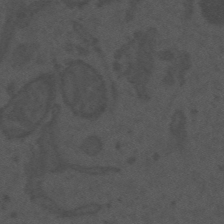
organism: Mouse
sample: Suprachiasmatic nucleus